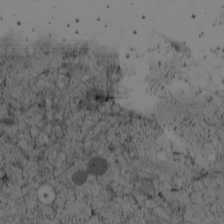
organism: African green monkey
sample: COS-7 cells